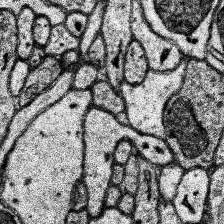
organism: Human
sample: Temporal Lobe